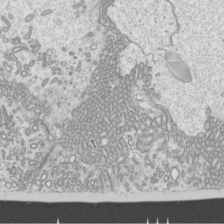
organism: Mouse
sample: Cilia; mouse epididymis